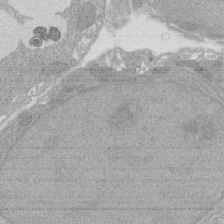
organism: Rat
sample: Salivary granule